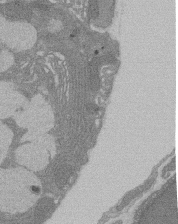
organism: Rat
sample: Salivary granule